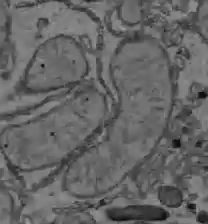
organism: C57BL Mouse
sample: Liver